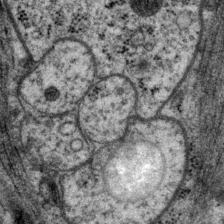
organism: P. pacificus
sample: Pharynx